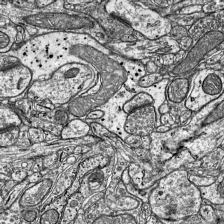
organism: Mouse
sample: Visual Cortex